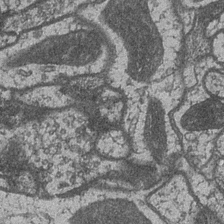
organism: Drosophila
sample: Optic medulla